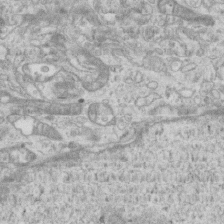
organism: Mouse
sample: Centriole in ependymal cells